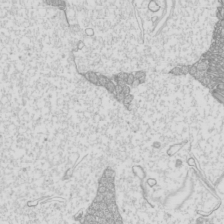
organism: Mouse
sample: Cilia; mouse epididymis